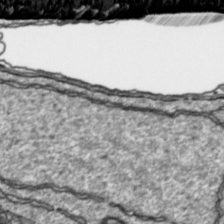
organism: Toxoplasma gondii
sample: Parasites in a vacuole inside a host cell